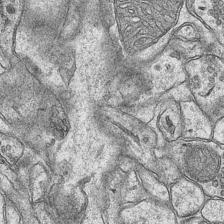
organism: Mouse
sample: CA1 Hippocampus